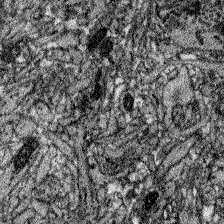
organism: Zebrafish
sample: Larval olfactory bulb